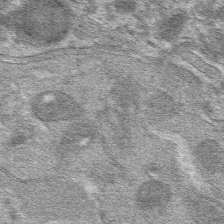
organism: Mouse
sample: Mouse hepatocytes